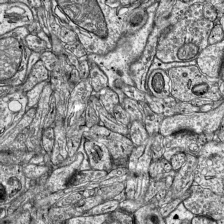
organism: Mouse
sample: Visual Cortex